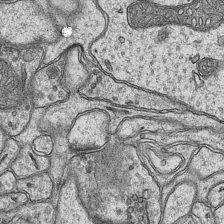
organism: Mouse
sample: CA1 Hippocampus